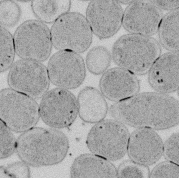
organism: E. coli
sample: Bacterial nucleoid